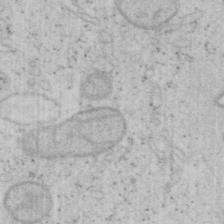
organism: Human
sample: HeLa cells